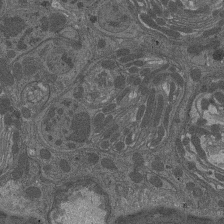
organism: Drosophila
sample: Antenna